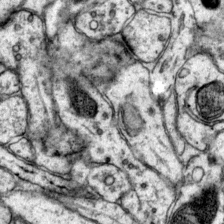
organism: Mouse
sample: Primary visual cortex